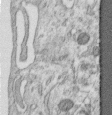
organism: Human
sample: Centriole in RPE cells